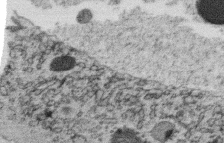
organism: C. elegans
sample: C. elegans oocyte; sperm cells